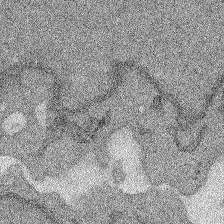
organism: Human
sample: HeLa cells